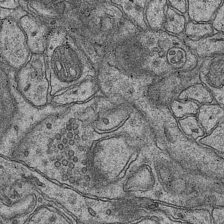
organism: Mouse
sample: CA1 Hippocampus